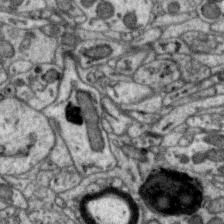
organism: Zebra finch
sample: Brain